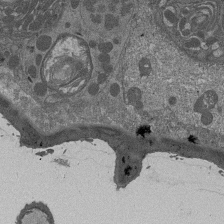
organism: Drosophila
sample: Antenna